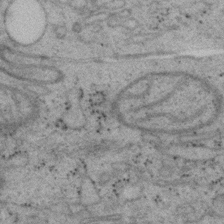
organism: Human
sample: HeLa cells